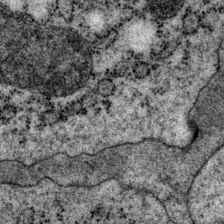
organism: P. pacificus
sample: Pharynx